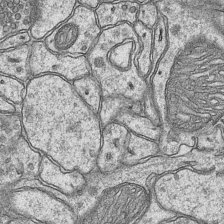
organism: Mouse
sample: CA1 Hippocampus